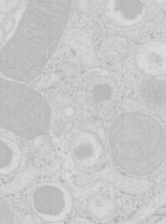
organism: Mouse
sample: Pancreas